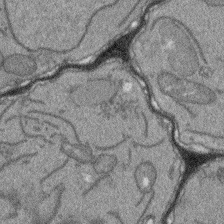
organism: Arabidopsis thaliana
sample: Root tip